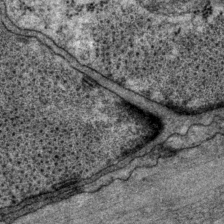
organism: P. pacificus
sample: Pharynx